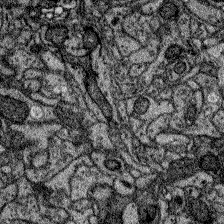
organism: Zebrafish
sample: Larval olfactory bulb